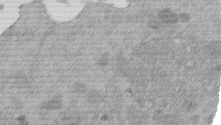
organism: Mouse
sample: Dividing mouse embryo 1 cell stage